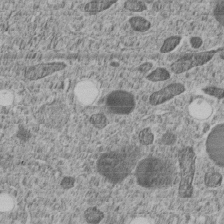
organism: C. elegans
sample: C. elegans embryo early stage